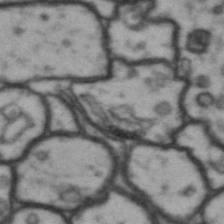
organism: Drosophila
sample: Brain